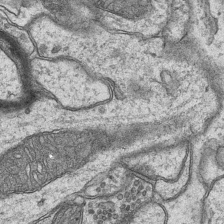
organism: Mouse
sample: CA1 Hippocampus